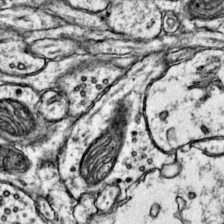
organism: Mouse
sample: Primary visual cortex